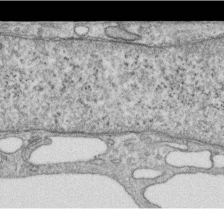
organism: Human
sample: Centriole in RPE cells